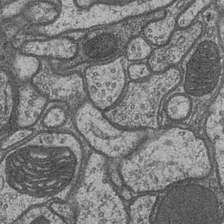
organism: Drosophila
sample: Optic medulla